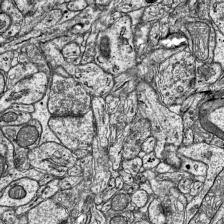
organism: Mouse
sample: Visual Cortex